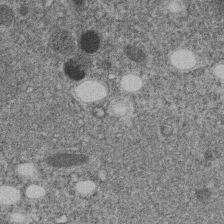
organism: C. elegans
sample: C. elegans embryo early stage